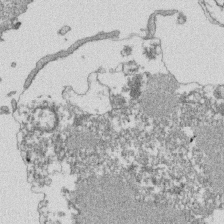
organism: Human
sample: HeLa cell HIV synapse